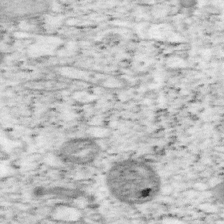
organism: Mouse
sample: OT-I killer T cells with ID8 ovarian cancer cells